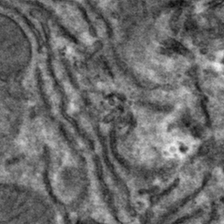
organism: Mouse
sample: Mouse hepatocytes